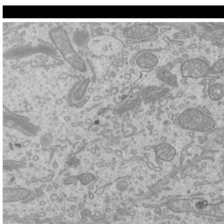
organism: Mouse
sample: Cilia; mouse epididymis